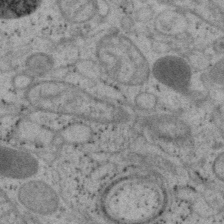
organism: Human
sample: HeLa cells